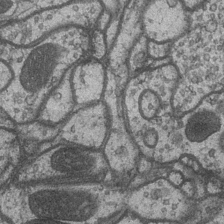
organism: Drosophila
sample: Optic medulla